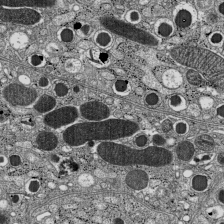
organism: C57BL Mouse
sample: Pancreatic islet